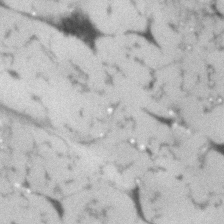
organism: Human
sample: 1205lu cells